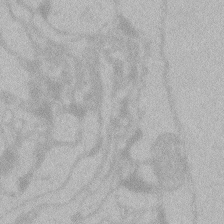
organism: Zebrafish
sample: Macrophage infected with Toxoplasma gondii